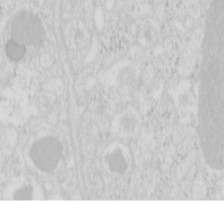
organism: Mouse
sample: Pancreas